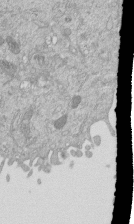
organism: Mouse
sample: ED-1 cell nuclei; centrioles